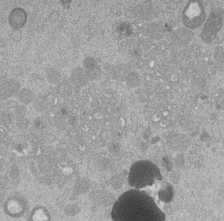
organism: Mouse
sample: Dividing mouse embryo 1 cell stage